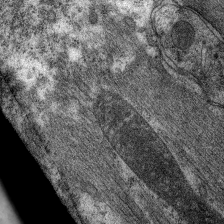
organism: C. elegans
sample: Pharynx